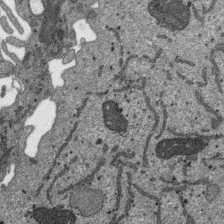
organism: Human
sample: Lung epithelial cells infected with SARS-CoV-2